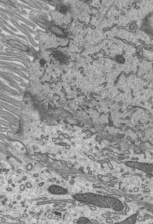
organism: Mouse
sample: Mouse epididymis efferent ductule cilia